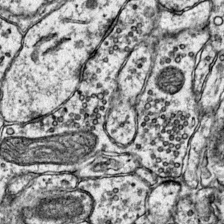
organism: Mouse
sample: Primary visual cortex